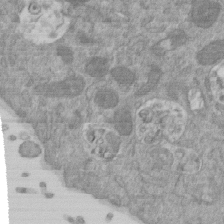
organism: Mouse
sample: ED-1 cell nuclei; centrioles